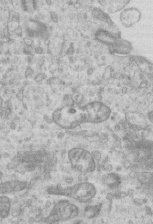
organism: Mouse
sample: Centriole in ependymal cells